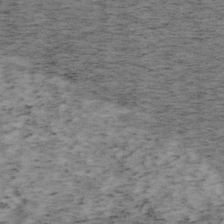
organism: Mouse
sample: OT-I killer T cells with ID8 ovarian cancer cells